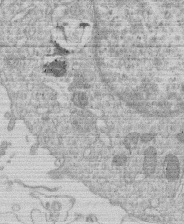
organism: Human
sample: Macrophage cells